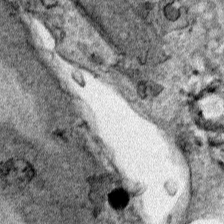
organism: Human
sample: Mitochondria in HCT116 cells